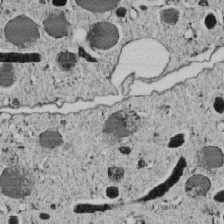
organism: C. elegans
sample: C. elegans embryo early stage